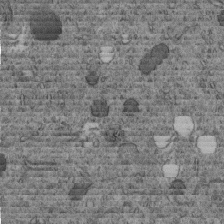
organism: C. elegans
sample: C. elegans embryo early stage